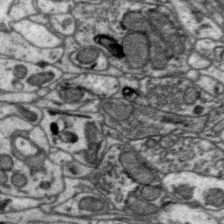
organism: Zebra finch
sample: Brain